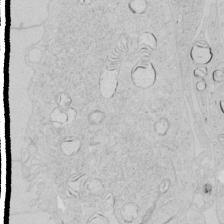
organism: Human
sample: Mitochondria in HCT116 cells